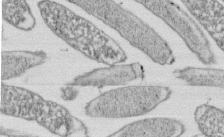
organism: E. coli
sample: Bacterial nucleoid